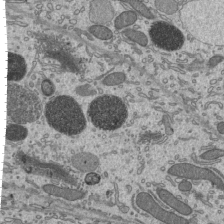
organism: Mouse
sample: Mouse epididymis efferent ductule cilia